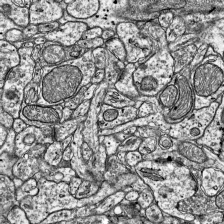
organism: Mouse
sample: Visual Cortex